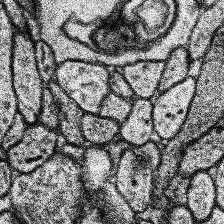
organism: Human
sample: Temporal Lobe